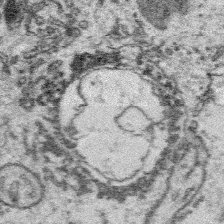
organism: Platynereis dumerilii